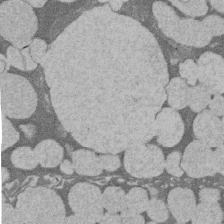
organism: Rat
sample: Salivary granule